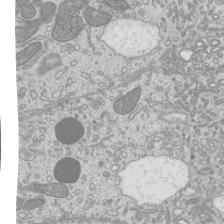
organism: Mouse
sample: Cilia; mouse epididymis